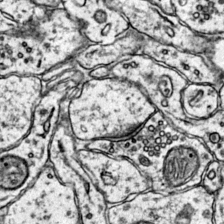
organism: Mouse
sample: Primary visual cortex